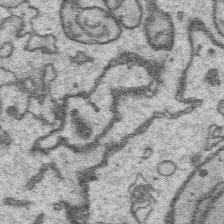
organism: Platynereis dumerilii